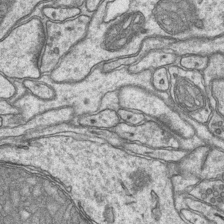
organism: Mouse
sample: CA1 Hippocampus